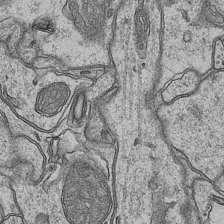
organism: Mouse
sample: CA1 Hippocampus